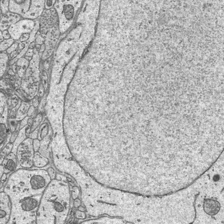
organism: Mouse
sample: Suprachiasmatic nucleus